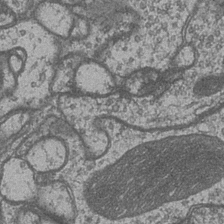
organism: Drosophila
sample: Optic medulla